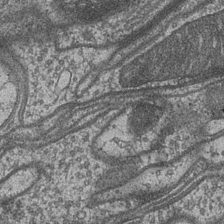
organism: Drosophila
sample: Optic medulla